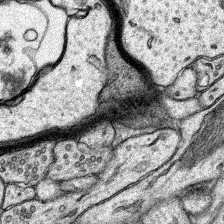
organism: Rat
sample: Hippocampus